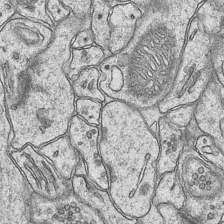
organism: Mouse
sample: CA1 Hippocampus